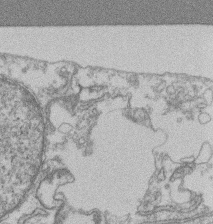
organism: Mouse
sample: T cell stromal cell synapse